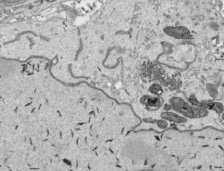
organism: Human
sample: Mitochondria in HCT116 cells